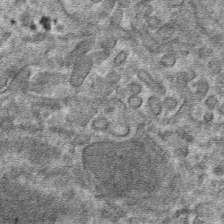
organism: Mouse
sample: Mouse hepatocytes